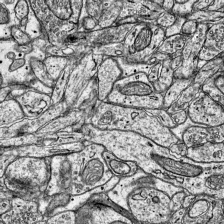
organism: Mouse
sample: Visual Cortex